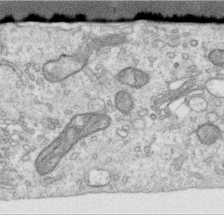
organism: Human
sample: Centriole in RPE cells